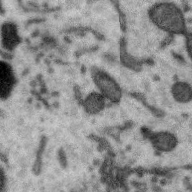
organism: Zebra finch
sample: Brain